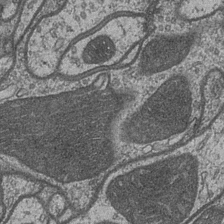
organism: Drosophila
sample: Optic medulla